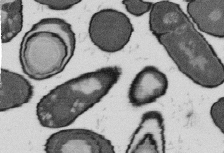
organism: B. subtilis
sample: Bacterial spore